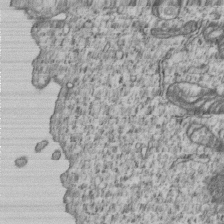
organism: Human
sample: MDA-MB-231 cells